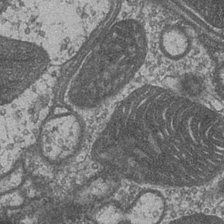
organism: Drosophila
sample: Optic medulla